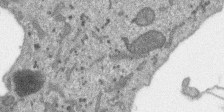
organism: Human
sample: Lung epithelial cells infected with SARS-CoV-2